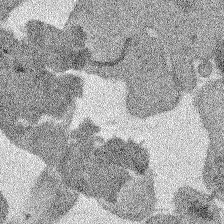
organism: Human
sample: HeLa cells